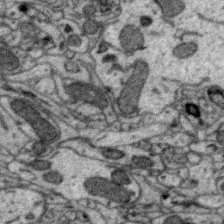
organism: Zebra finch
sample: Brain